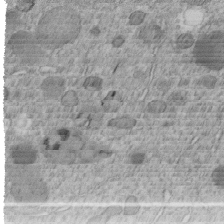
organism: C. elegans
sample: C. elegans embryo early stage